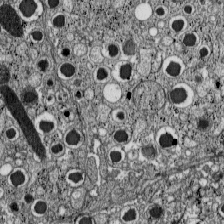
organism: C57BL Mouse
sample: Pancreatic islet